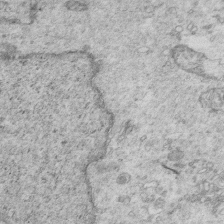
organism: Mouse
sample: Multiciliated cells